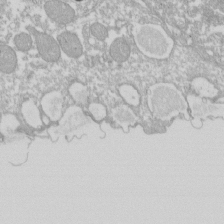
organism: Xenopus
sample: Cilia; centrioles in frog embryo cells